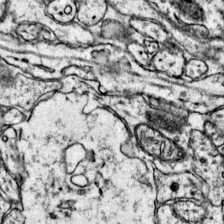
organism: Mouse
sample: Primary visual cortex